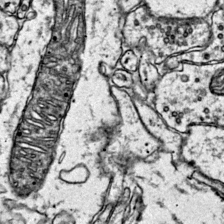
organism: Mouse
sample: Primary visual cortex